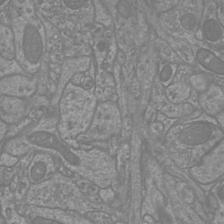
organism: Mouse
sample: Cortical neurons